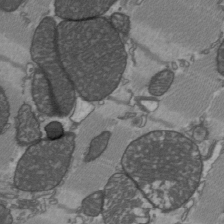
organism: C57BL Mouse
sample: Heart